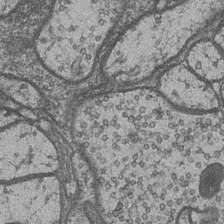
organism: Drosophila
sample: Optic medulla